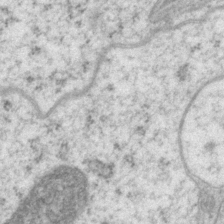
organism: P. pacificus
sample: Pharynx